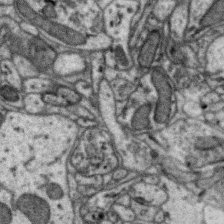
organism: Zebra finch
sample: Brain